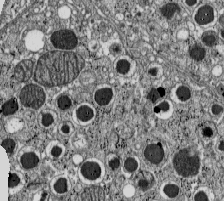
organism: C57BL Mouse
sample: Pancreatic islet